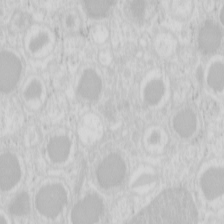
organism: Mouse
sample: Pancreas